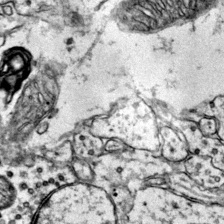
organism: Mouse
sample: Primary visual cortex